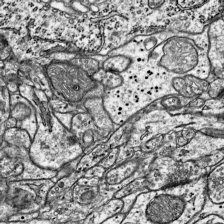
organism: Mouse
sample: Visual Cortex